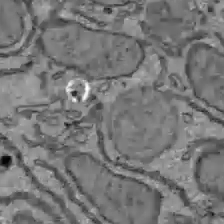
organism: C57BL Mouse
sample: Liver